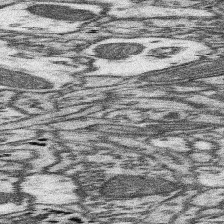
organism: Mouse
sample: Somatosensory cortex neuropil